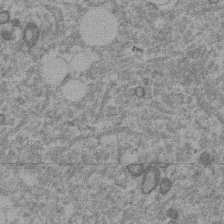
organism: Mouse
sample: Dividing mouse embryo 1 cell stage